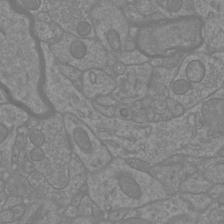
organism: Mouse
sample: Cortical neurons